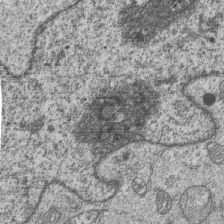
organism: Human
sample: MDA-MB-231 cells